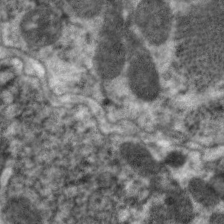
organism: C. elegans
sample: Pharynx